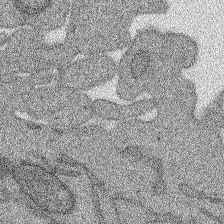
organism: Human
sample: HeLa cells